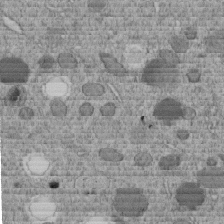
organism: C. elegans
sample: C. elegans embryo early stage